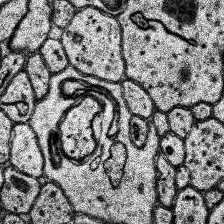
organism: Human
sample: Temporal Lobe